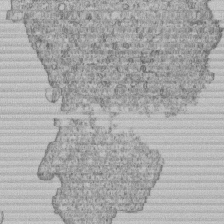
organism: Human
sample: MDA-MB-231 cells